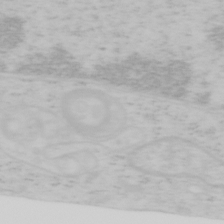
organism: Mouse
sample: OT-I killer T cells with ID8 ovarian cancer cells